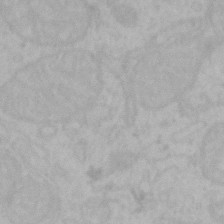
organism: Mouse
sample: Choroid plexus